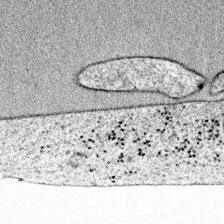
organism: Human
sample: HeLa cells